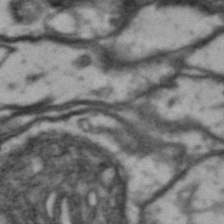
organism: Drosophila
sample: Brain